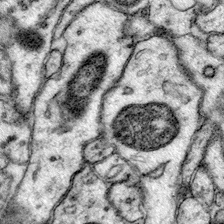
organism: Mouse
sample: Primary visual cortex